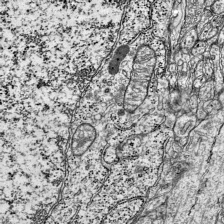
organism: Mouse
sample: Visual Cortex